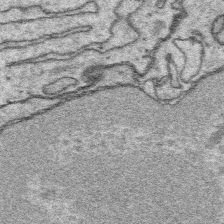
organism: Platynereis dumerilii